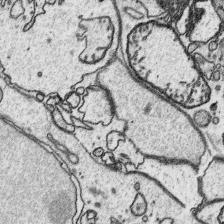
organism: Platynereis dumerilii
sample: Parapodia